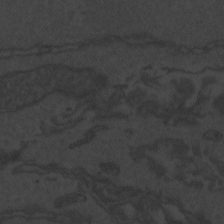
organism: Zebrafish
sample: Macrophage infected with Toxoplasma gondii